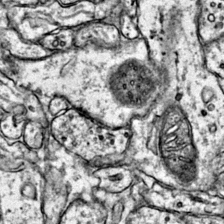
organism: Mouse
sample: Primary visual cortex